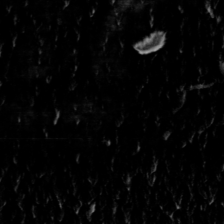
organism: Toxoplasma gondii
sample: Parasites in a vacuole inside a host cell